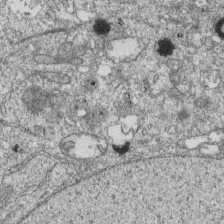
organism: Human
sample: HeLa cell HIV synapse